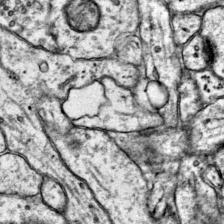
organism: Mouse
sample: Primary visual cortex